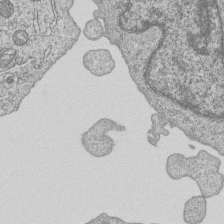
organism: Human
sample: MDA-MB-231 cells